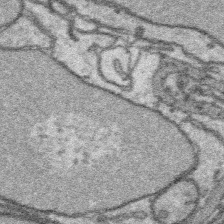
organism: Platynereis dumerilii